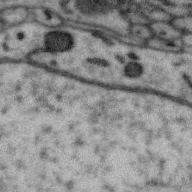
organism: Zebra finch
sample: Brain